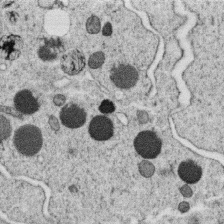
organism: C. elegans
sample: C. elegans oocyte; sperm cells